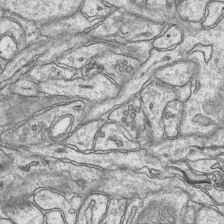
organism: Mouse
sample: CA1 Hippocampus